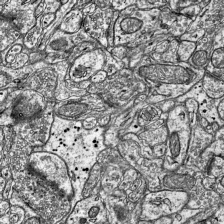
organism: Mouse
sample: Visual Cortex